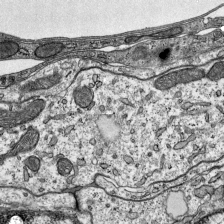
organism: Mouse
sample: Visual Cortex